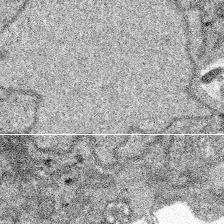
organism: Spongilla lacustris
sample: Multiple